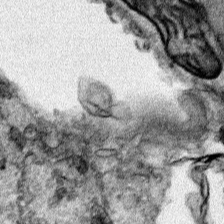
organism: Human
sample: Mitochondria in HCT116 cells